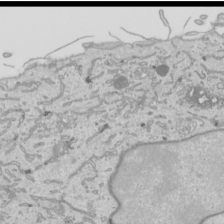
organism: Human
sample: Mitochondria in HCT116 cells